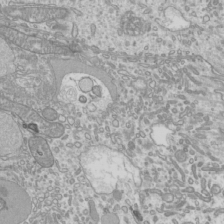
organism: Mouse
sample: Cilia; mouse epididymis